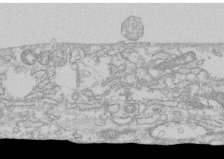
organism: Human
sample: CRL-1474